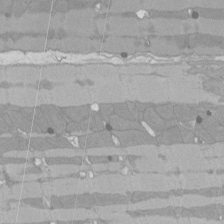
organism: Rat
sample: Left ventricle